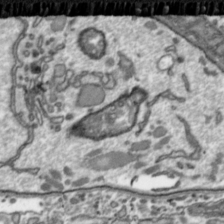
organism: Toxoplasma gondii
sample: Parasites in a vacuole inside a host cell